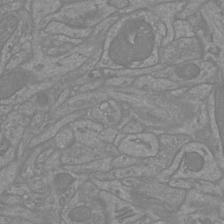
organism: Mouse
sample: Cortical neurons